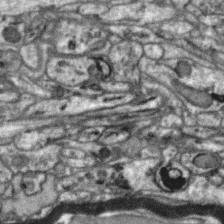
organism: Zebra finch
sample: Brain